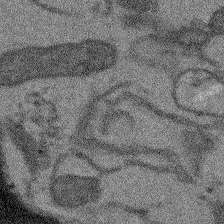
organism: Arabidopsis thaliana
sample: Root tip